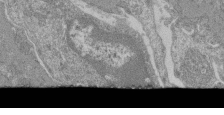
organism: Mouse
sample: Glomerulus